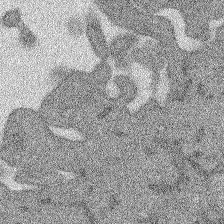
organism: Human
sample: HeLa cells